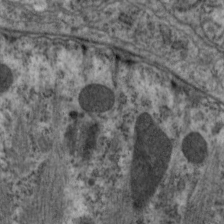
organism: C. elegans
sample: Pharynx